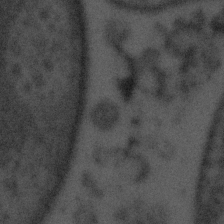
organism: Tuwongella immobilis